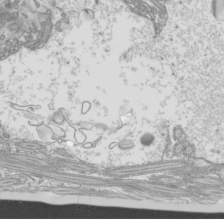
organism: Mouse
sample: Cilia; mouse epididymis